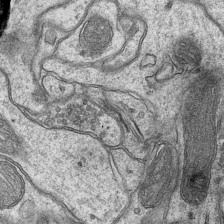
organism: Mouse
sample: CA1 Hippocampus